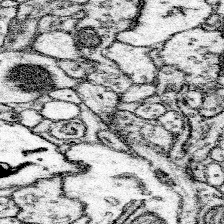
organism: Mouse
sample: Somatosensory cortex neuropil